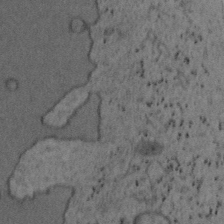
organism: Human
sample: HeLa cells